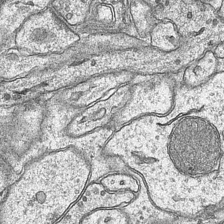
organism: Mouse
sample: CA1 Hippocampus